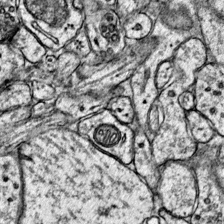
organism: Mouse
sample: Primary visual cortex